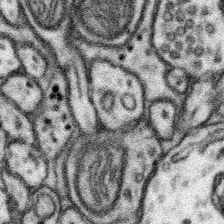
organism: Mouse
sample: Somatosensory cortex neuropil